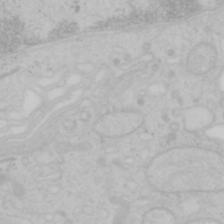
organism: Mouse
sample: OT-I killer T cells with ID8 ovarian cancer cells